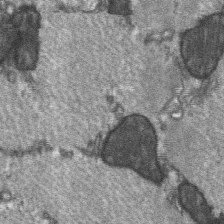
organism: C57BL Mouse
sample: Soleus